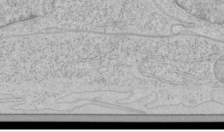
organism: Human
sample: Mitochondria in HCT116 cells